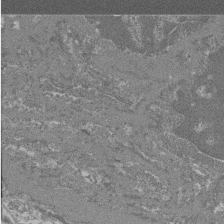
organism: Mouse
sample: Glomerulus